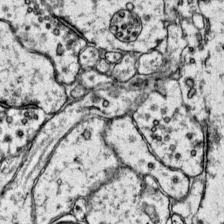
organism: Mouse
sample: Primary visual cortex